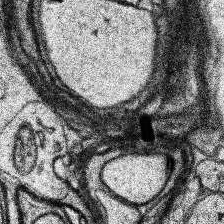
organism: Human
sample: Temporal Lobe